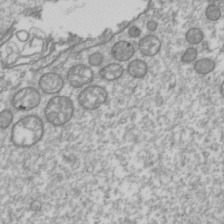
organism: Drosophila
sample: Cell division; meiosis; drosophila spermatocytes